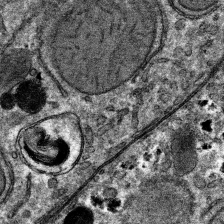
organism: Mouse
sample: Mouse hepatocytes